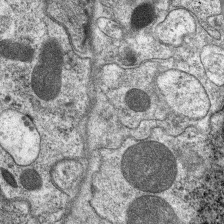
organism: C. elegans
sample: Pharynx